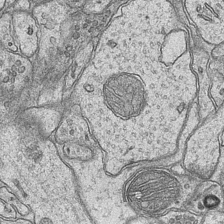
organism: Mouse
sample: CA1 Hippocampus